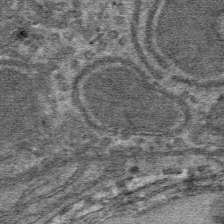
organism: Mouse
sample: Mouse hepatocytes